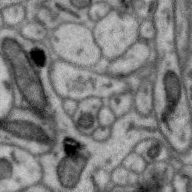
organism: Zebra finch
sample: Brain